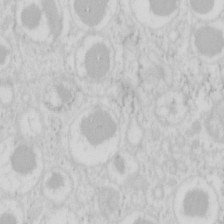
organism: Mouse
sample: Pancreas